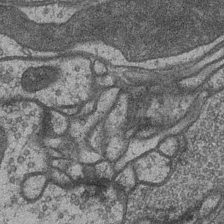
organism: Drosophila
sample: Optic medulla